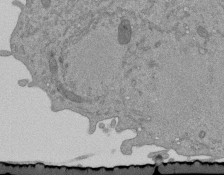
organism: Mouse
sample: ED-1 cell nuclei; centrioles